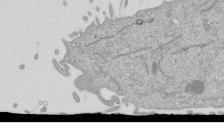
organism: Mouse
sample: ED-1 cell nuclei; centrioles